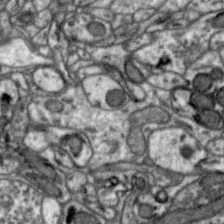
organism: Zebra finch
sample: Brain